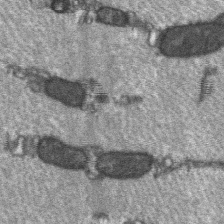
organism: C57BL Mouse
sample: Soleus